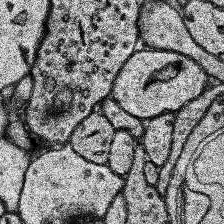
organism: Human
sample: Temporal Lobe